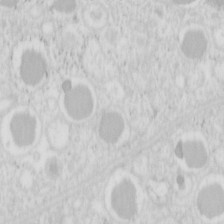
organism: Mouse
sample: Pancreas